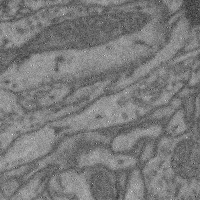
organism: Mouse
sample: Cerebral cortex